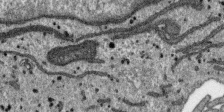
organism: Human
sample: Lung epithelial cells, uninfected (mock) control